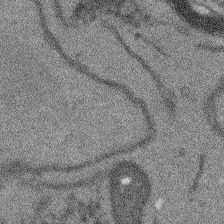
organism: Arabidopsis thaliana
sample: Root tip